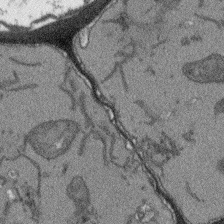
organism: Arabidopsis thaliana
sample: Root tip